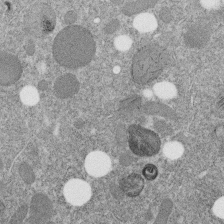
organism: C. elegans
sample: C. elegans embryo early stage